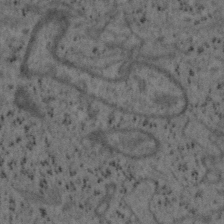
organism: Human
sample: HeLa cells